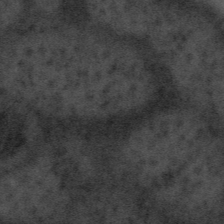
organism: Tuwongella immobilis